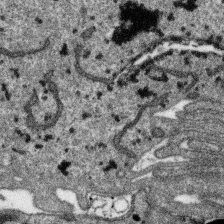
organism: Human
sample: Lung epithelial cells infected with SARS-CoV-2